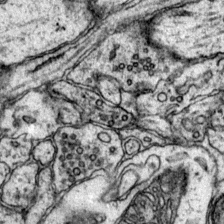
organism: Mouse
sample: Primary visual cortex